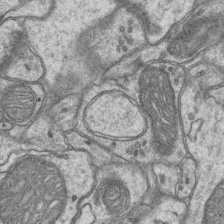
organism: Mouse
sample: CA1 Hippocampus